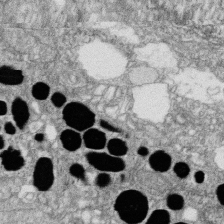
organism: Zebrafish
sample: Cilia; retinal pigment epithelium